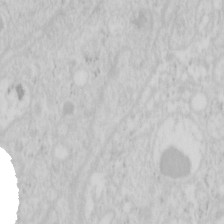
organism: Mouse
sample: Pancreas